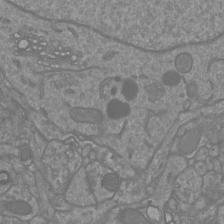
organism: Mouse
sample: Cortical neurons